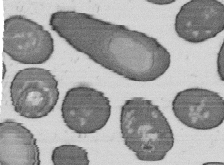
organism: B. subtilis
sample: Bacterial spore